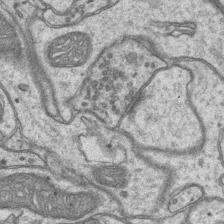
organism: Mouse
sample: CA1 Hippocampus